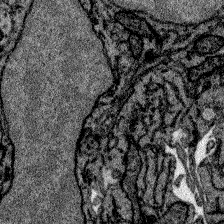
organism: Zebrafish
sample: Larval olfactory bulb